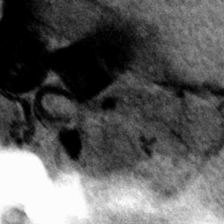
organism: Human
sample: Mitochondria in HCT116 cells